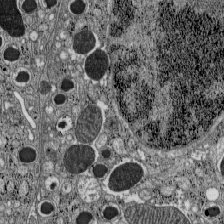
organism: C57BL Mouse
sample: Pancreatic islet